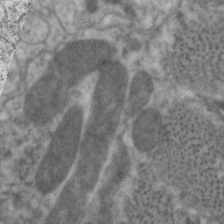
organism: C. elegans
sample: Pharynx